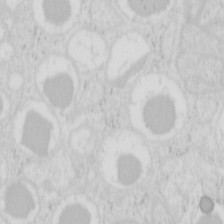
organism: Mouse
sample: Pancreas